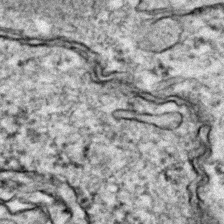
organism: Zebrafish